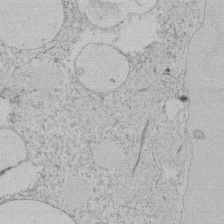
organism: Tetrahymena